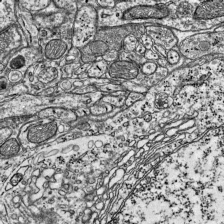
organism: Mouse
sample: Visual Cortex